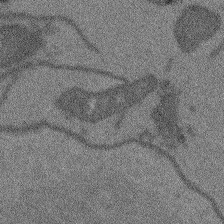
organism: Arabidopsis thaliana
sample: Root tip